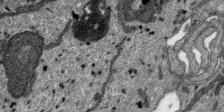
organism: Human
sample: Lung epithelial cells, uninfected (mock) control